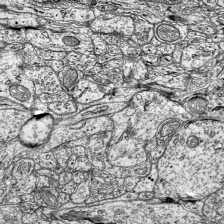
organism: Mouse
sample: Visual Cortex